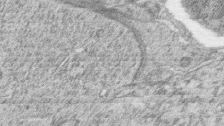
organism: Zebrafish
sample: synaptic ribbons in rod cells and cone cells